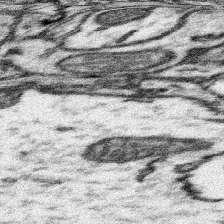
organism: Mouse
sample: Somatosensory cortex neuropil